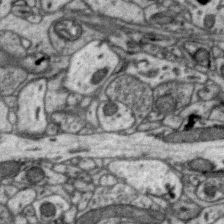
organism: Zebra finch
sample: Brain